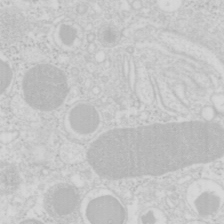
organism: Mouse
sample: Pancreas